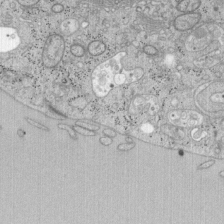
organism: Mouse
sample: OT-I killer T cells with ID8 ovarian cancer cells